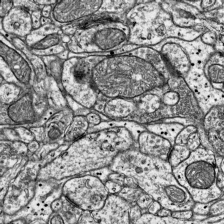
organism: Mouse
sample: Visual Cortex